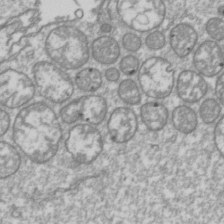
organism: Drosophila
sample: Cell division; meiosis; drosophila spermatocytes